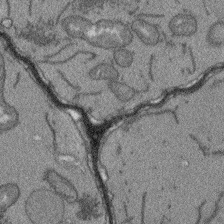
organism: Arabidopsis thaliana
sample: Root tip